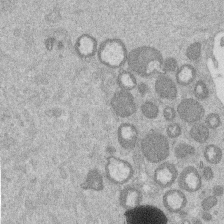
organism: Mouse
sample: Dividing mouse embryo 1 cell stage